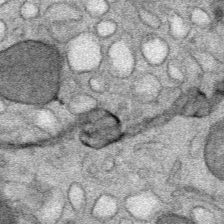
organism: Mouse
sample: Mouse Salivary gland